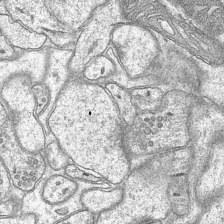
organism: Mouse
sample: CA1 Hippocampus